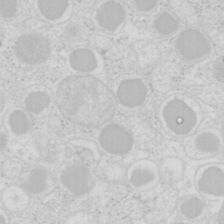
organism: Mouse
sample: Pancreas